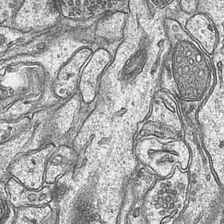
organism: Mouse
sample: CA1 Hippocampus